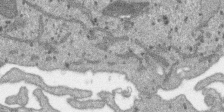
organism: Human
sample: Lung epithelial cells infected with SARS-CoV-2